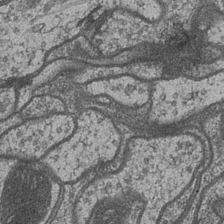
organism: Drosophila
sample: Optic medulla